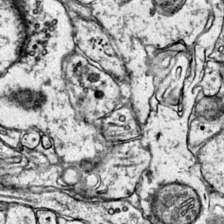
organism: Mouse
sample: Primary visual cortex